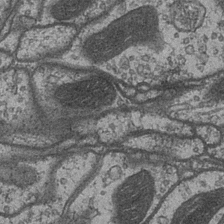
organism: Drosophila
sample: Optic medulla